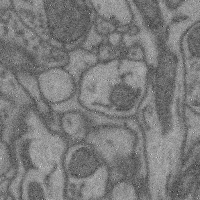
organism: Mouse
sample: Cerebral cortex